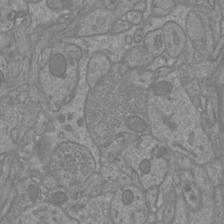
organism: Mouse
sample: Cortical neurons